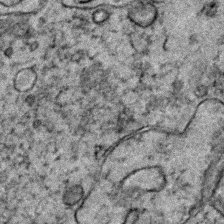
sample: Trachea